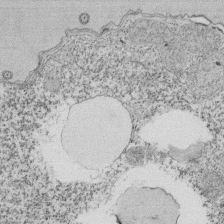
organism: Tetrahymena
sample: Cilia in tetrahymena